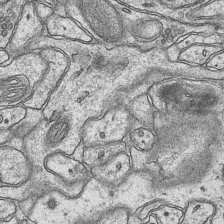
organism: Mouse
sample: CA1 Hippocampus